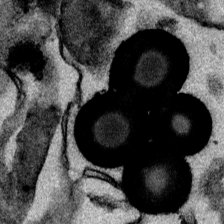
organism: Mouse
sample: Cancer cell death in ED-1 cells